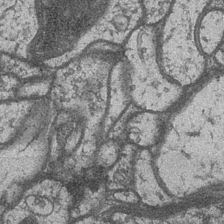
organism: Drosophila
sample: Optic medulla